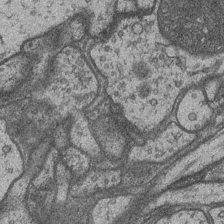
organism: Drosophila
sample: Optic medulla